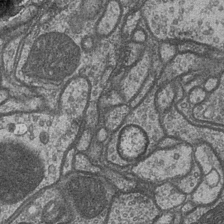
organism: Drosophila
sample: Optic medulla